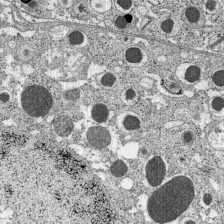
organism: C57BL Mouse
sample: Pancreatic islet